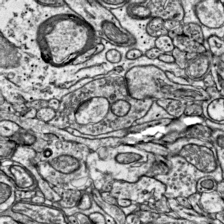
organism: Mouse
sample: Visual Cortex